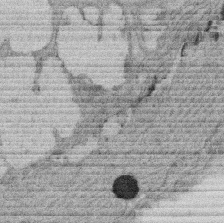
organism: Rat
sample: Salivary granule